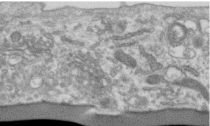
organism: Human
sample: Centriole in RPE cells